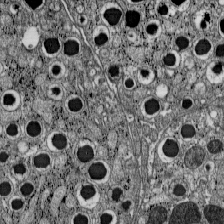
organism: C57BL Mouse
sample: Pancreatic islet